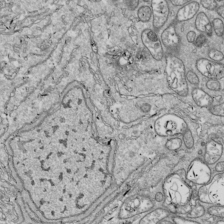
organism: Drosophila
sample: Cell division; meiosis; drosophila spermatocytes